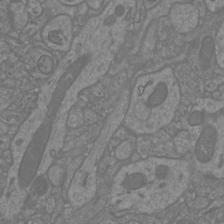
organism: Mouse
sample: Cortical neurons